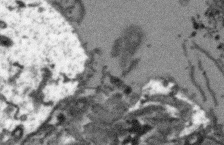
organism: Arabidopsis thaliana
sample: Root tip